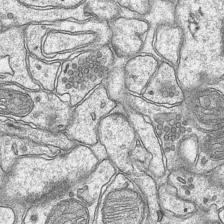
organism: Mouse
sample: CA1 Hippocampus